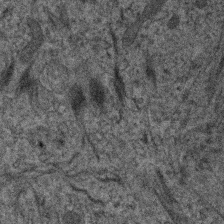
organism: Human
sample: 1205lu cells